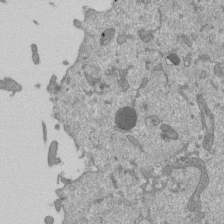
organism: Mouse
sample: ED-1 cell nuclei; centrioles